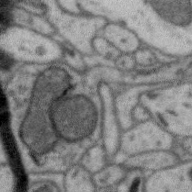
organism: Zebra finch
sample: Brain